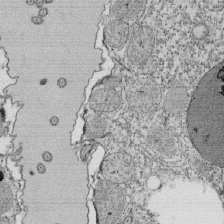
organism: Tetrahymena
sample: Cilia in tetrahymena